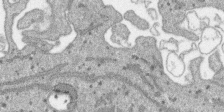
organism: Human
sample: Lung epithelial cells infected with SARS-CoV-2